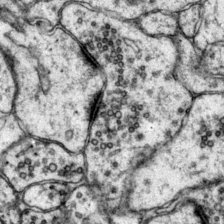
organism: Mouse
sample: Primary visual cortex